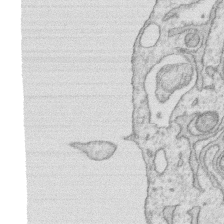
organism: Human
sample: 1205lu cells